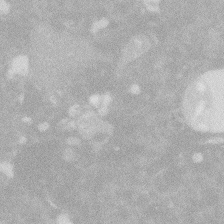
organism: Zebrafish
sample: Macrophage